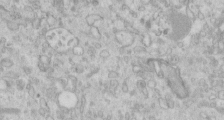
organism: Human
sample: Centriole in RPE cells